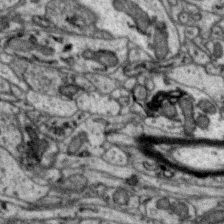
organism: Zebra finch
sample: Brain